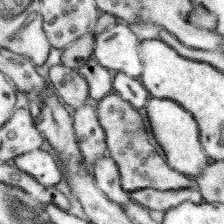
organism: Mouse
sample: Somatosensory cortex neuropil